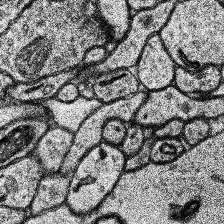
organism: Human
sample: Temporal Lobe